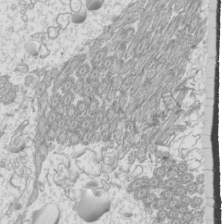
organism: Mouse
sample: Cilia; mouse epididymis